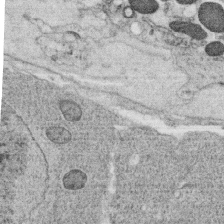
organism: C. elegans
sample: C. elegans oocyte; sperm cells